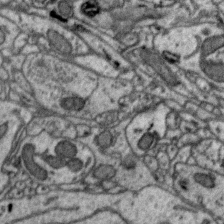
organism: Zebra finch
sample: Brain